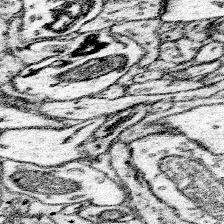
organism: Mouse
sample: Somatosensory cortex neuropil